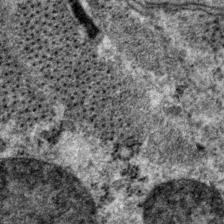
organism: P. pacificus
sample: Pharynx